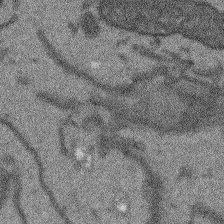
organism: Arabidopsis thaliana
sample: Root tip